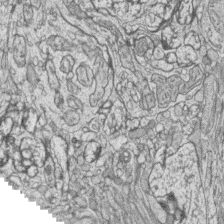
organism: Zebrafish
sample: synaptic ribbons in rod cells and cone cells